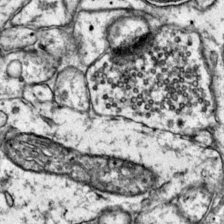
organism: Mouse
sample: Primary visual cortex